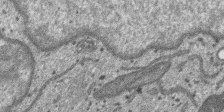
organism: Human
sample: Lung epithelial cells infected with SARS-CoV-2